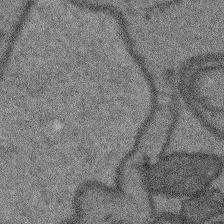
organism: Arabidopsis thaliana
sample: Root tip